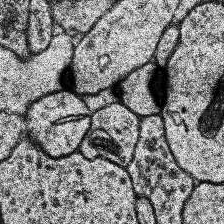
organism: Human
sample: Temporal Lobe